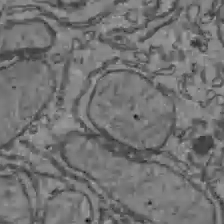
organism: C57BL Mouse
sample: Liver